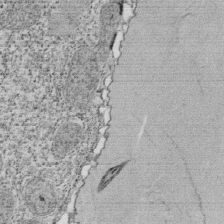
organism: Tetrahymena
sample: Cilia in tetrahymena